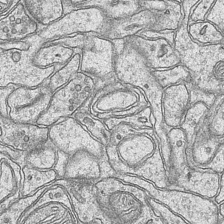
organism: Mouse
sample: CA1 Hippocampus